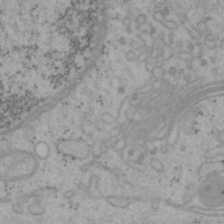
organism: Human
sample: HeLa cells